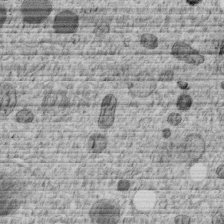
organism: C. elegans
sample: C. elegans embryo early stage